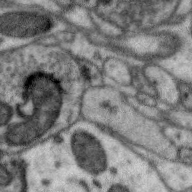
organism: Zebra finch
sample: Brain